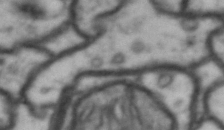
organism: Drosophila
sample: Brain